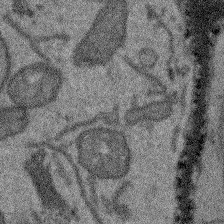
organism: Arabidopsis thaliana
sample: Root tip